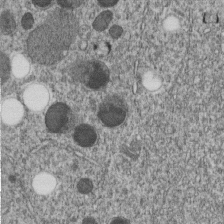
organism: C. elegans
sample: C. elegans embryo early stage